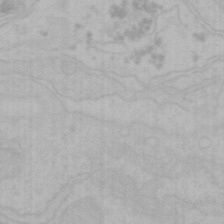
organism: Mouse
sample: Choroid plexus